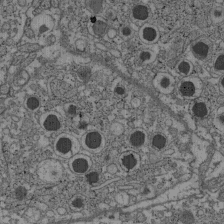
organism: C57BL Mouse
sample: Pancreatic islet